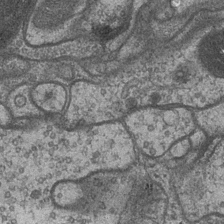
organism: Drosophila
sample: Optic medulla